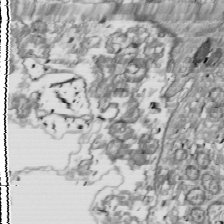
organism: Drosophila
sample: Cell division; meiosis; drosophila spermatocytes